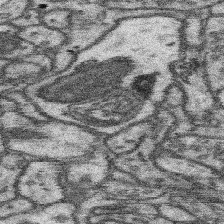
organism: Mouse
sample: Somatosensory cortex neuropil